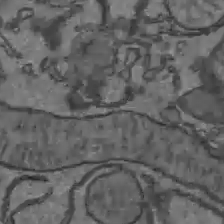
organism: C57BL Mouse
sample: Liver